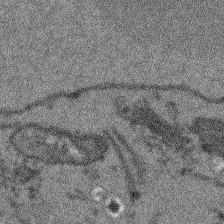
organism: Arabidopsis thaliana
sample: Root tip